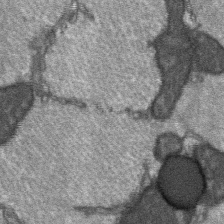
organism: C57BL Mouse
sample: Soleus